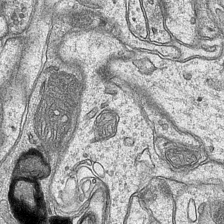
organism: Mouse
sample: CA1 Hippocampus